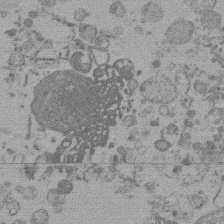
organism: Mouse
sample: Dividing mouse embryo 1 cell stage